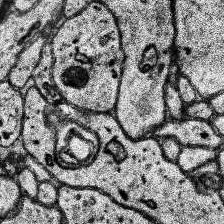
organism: Human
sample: Temporal Lobe